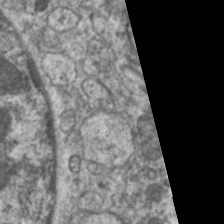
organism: C. elegans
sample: Pharynx